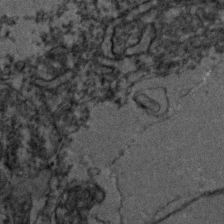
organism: Zebrafish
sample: Zebrafish embryo